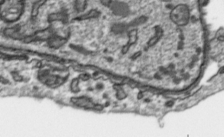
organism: Toxoplasma gondii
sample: Parasites in a vacuole inside a host cell